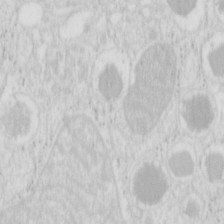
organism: Mouse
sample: Pancreas